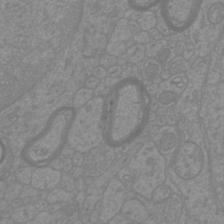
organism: Mouse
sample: Cortical neurons